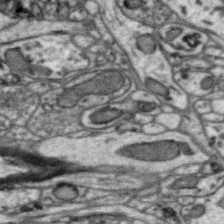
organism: Zebra finch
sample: Brain